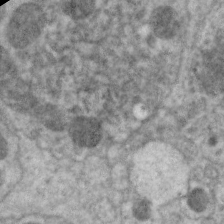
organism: C. elegans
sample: Pharynx